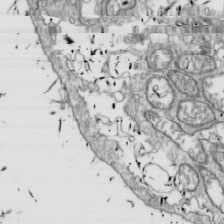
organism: Drosophila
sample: Cell division; meiosis; drosophila spermatocytes